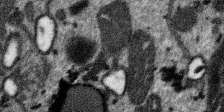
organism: Human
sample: Lung epithelial cells infected with SARS-CoV-2